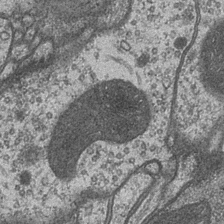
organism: Drosophila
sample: Optic medulla